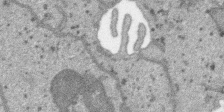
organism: Human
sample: Lung epithelial cells infected with SARS-CoV-2